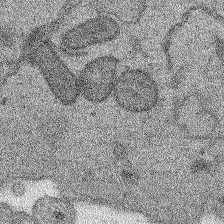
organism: Human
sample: HeLa cells